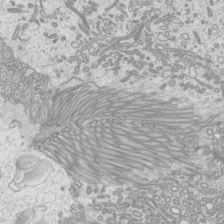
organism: Mouse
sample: Cilia; mouse epididymis